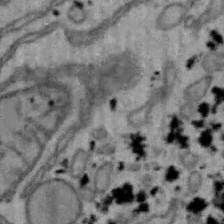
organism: Mouse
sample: Liver